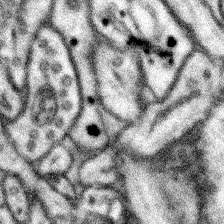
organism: Mouse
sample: Somatosensory cortex neuropil